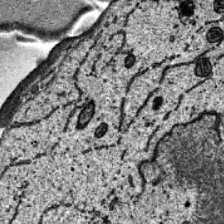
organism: Human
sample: HeLa cells